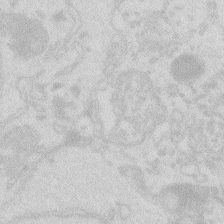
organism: Zebrafish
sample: Macrophage